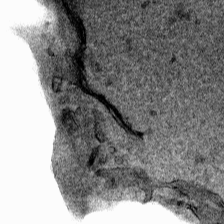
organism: Human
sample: Mitochondria in HCT116 cells